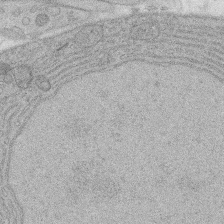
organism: Rat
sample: Salivary granule